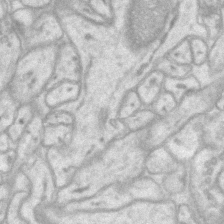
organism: Mouse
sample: CA1 Hippocampus